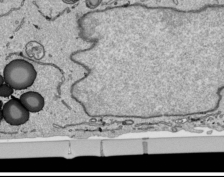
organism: Human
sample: Mitochondria in HCT116 cells